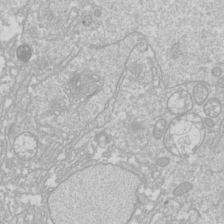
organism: Drosophila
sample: Cell division; meiosis; drosophila spermatocytes